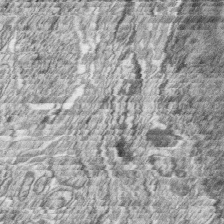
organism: Zebrafish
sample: synaptic ribbons in rod cells and cone cells